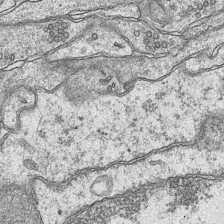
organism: Mouse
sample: CA1 Hippocampus